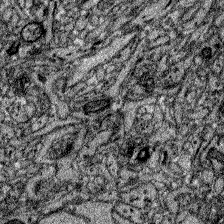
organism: Zebrafish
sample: Larval olfactory bulb